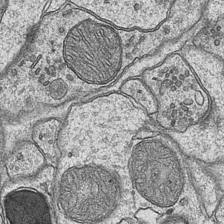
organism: Mouse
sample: CA1 Hippocampus